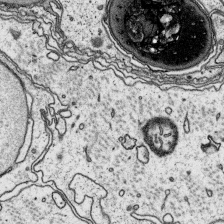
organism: Platynereis dumerilii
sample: Parapodia